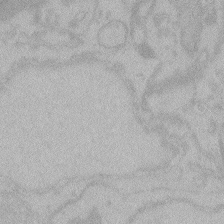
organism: Zebrafish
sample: Macrophage infected with Toxoplasma gondii